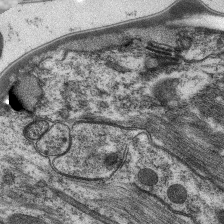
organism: C. elegans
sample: Pharynx